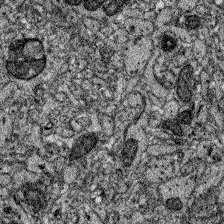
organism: Zebrafish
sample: Larval olfactory bulb